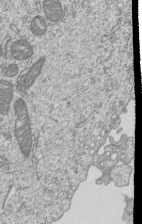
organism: Human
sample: MDA-MB-231 cells